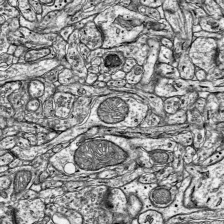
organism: Mouse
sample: Visual Cortex